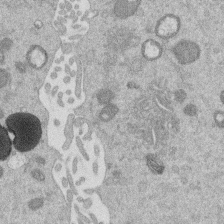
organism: Mouse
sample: Dividing mouse embryo 1 cell stage